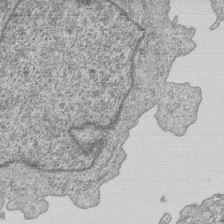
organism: Human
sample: MDA-MB-231 cells